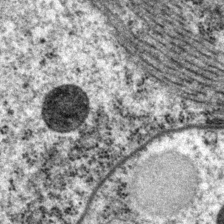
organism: P. pacificus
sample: Pharynx